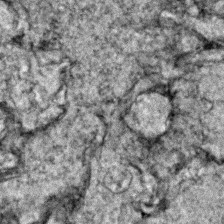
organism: Zebrafish